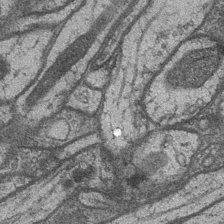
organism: Drosophila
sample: Optic medulla